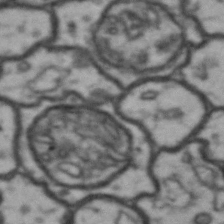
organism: Drosophila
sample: Brain